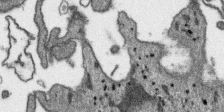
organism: Human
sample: Lung epithelial cells, uninfected (mock) control